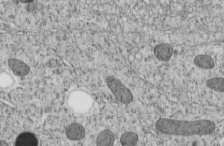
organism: C. elegans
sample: C. elegans embryo early stage